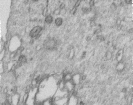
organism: Human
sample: Centriole in RPE cells